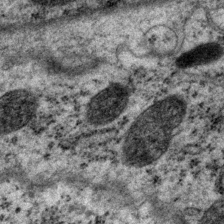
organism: P. pacificus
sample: Pharynx